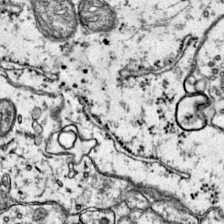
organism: Mouse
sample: Primary visual cortex